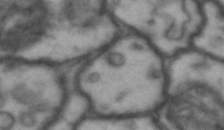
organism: Drosophila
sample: Brain